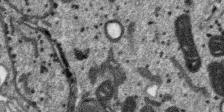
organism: Human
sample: Lung epithelial cells infected with SARS-CoV-2